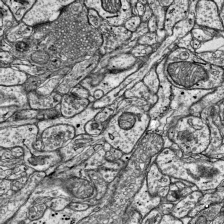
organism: Mouse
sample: Visual Cortex